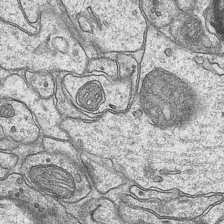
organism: Mouse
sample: CA1 Hippocampus